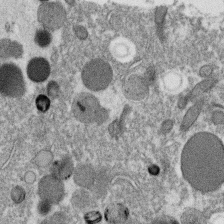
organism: C. elegans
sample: C. elegans oocyte; sperm cells